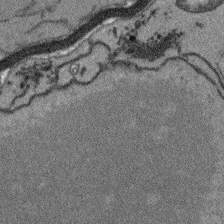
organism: Arabidopsis thaliana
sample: Root tip